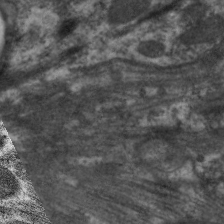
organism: C. elegans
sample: Pharynx